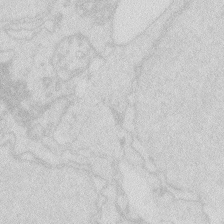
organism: Zebrafish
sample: Macrophage